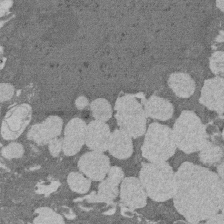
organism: Rat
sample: Salivary granule